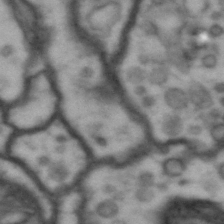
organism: Drosophila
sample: Brain